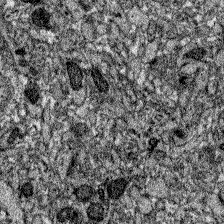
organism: Zebrafish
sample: Larval olfactory bulb